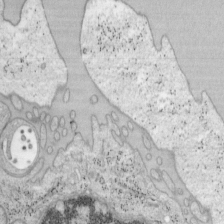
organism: Mouse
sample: OT-I killer T cells with ID8 ovarian cancer cells